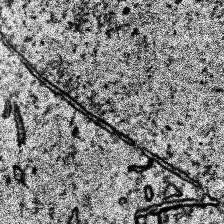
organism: Human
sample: Temporal Lobe